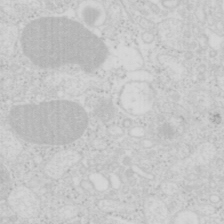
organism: Mouse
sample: Pancreas